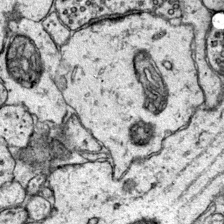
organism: Mouse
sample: Primary visual cortex